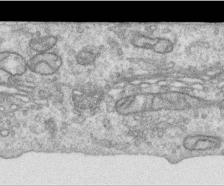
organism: Human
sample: Centriole in RPE cells